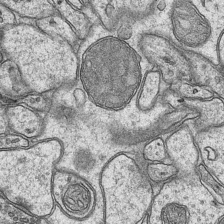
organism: Mouse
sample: CA1 Hippocampus